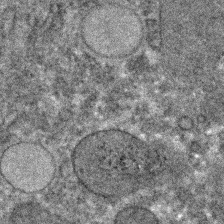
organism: C. elegans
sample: C. elegans embryo